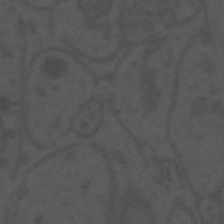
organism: Mouse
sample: Suprachiasmatic nucleus